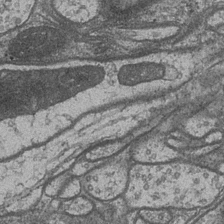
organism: Drosophila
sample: Optic medulla